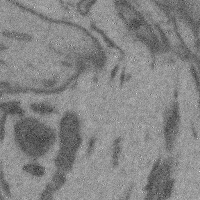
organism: Mouse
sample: Cerebral cortex